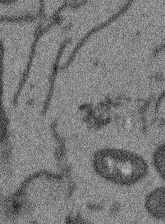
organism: Arabidopsis thaliana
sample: Root tip